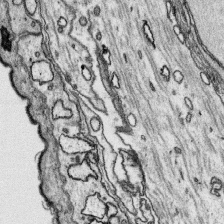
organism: Platynereis dumerilii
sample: Parapodia